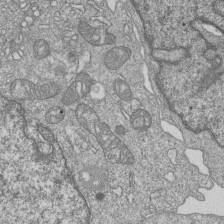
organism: Human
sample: MDA-MB-231 cells